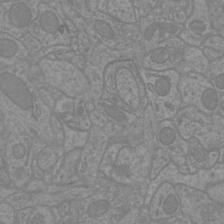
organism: Mouse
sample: Cortical neurons